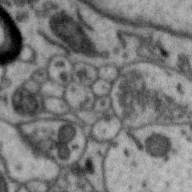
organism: Zebra finch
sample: Brain